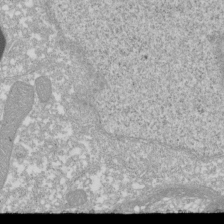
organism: Xenopus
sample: Cilia; centrioles in frog embryo cells